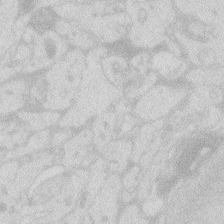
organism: Zebrafish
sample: Macrophage